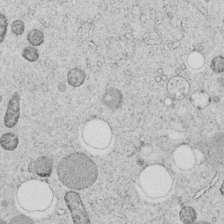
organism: C. elegans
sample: C. elegans embryo early stage